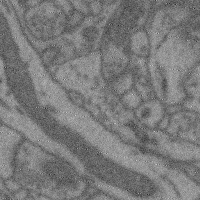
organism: Mouse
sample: Cerebral cortex